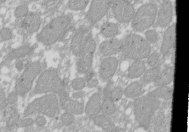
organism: Xenopus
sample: Cilia; centrioles in frog embryo cells